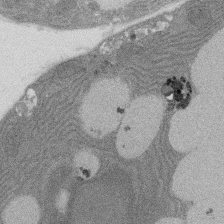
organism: Rat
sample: Salivary granule